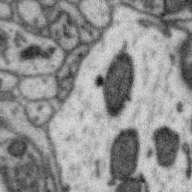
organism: Zebra finch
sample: Brain